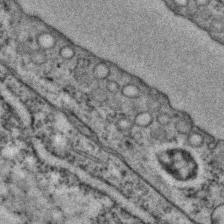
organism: C. elegans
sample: C. elegans embryo